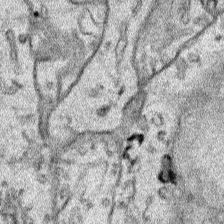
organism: Human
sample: Mitochondria in HCT116 cells